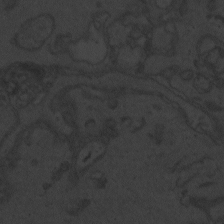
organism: Zebrafish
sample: Macrophage infected with Toxoplasma gondii